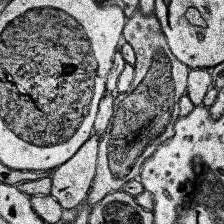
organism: Human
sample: Temporal Lobe